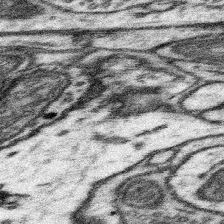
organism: Mouse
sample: Somatosensory cortex neuropil